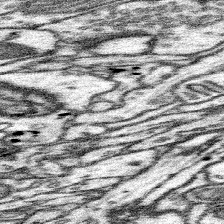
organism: Mouse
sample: Somatosensory cortex neuropil